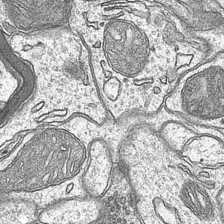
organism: Mouse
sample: CA1 Hippocampus